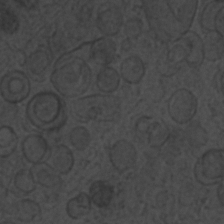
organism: C. elegans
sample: C. elegans embryo